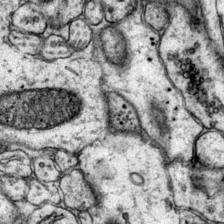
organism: Mouse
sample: Primary visual cortex